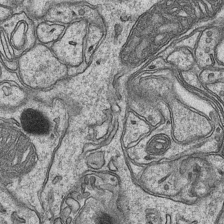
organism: Mouse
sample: CA1 Hippocampus